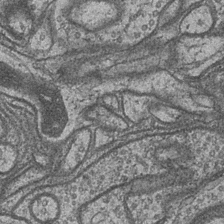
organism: Drosophila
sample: Optic medulla